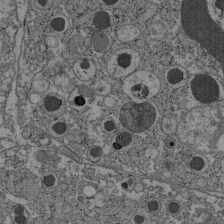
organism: C57BL Mouse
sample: Pancreatic islet